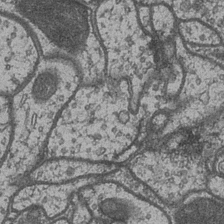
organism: Drosophila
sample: Optic medulla